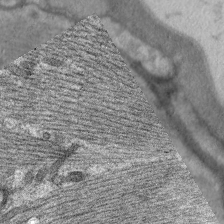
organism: C. elegans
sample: Pharynx